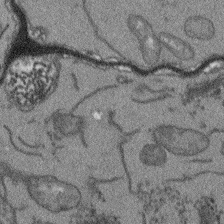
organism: Arabidopsis thaliana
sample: Root tip